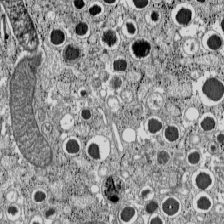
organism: C57BL Mouse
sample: Pancreatic islet